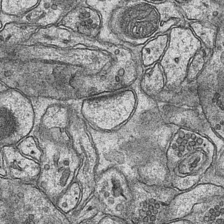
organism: Mouse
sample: CA1 Hippocampus